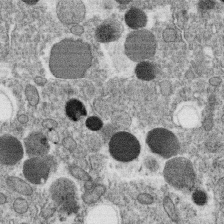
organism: C. elegans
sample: C. elegans oocyte; sperm cells